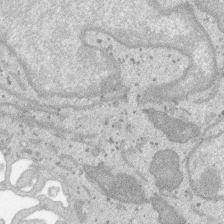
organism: Human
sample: Lung epithelial cells infected with SARS-CoV-2